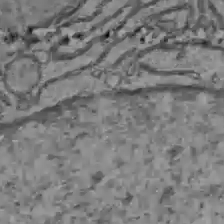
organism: C57BL Mouse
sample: Liver